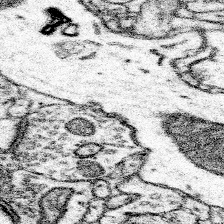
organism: Mouse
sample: Somatosensory cortex neuropil